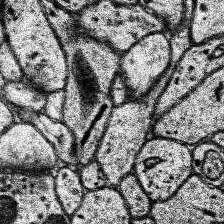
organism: Human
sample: Temporal Lobe